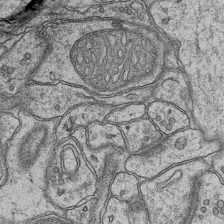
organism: Mouse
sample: CA1 Hippocampus